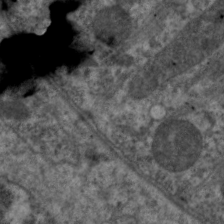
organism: C. elegans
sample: Pharynx